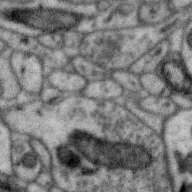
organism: Zebra finch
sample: Brain